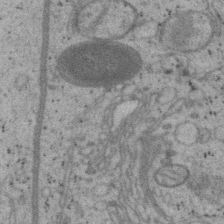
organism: Human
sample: HeLa cells